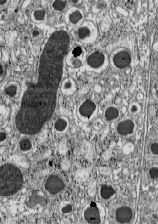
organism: C57BL Mouse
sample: Pancreatic islet